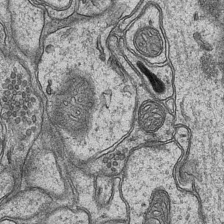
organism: Mouse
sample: CA1 Hippocampus